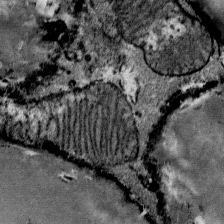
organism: Mouse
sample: Mouse Salivary gland